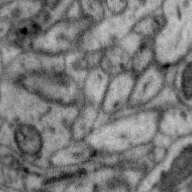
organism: Zebra finch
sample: Brain